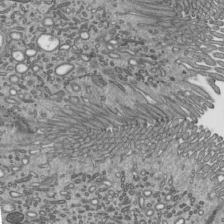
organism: Mouse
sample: Mouse epididymis efferent ductule cilia